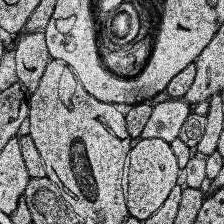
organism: Human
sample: Temporal Lobe